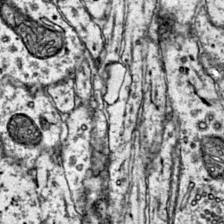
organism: Mouse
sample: Primary visual cortex